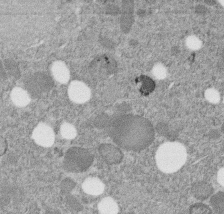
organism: C. elegans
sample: C. elegans embryo early stage